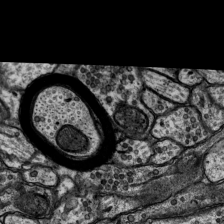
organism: Rat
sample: Hippocampus